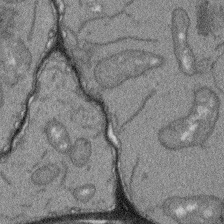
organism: Arabidopsis thaliana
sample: Root tip